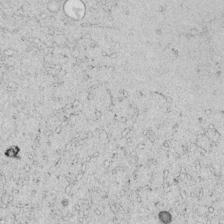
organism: C. elegans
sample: C. elegans embryo early stage